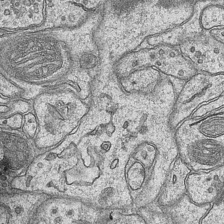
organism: Mouse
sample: CA1 Hippocampus